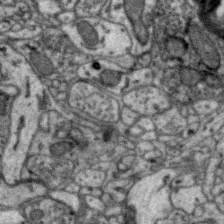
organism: Zebra finch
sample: Brain